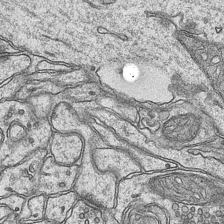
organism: Mouse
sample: CA1 Hippocampus